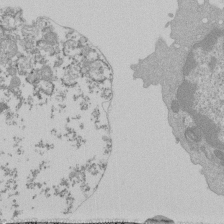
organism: Mouse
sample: Activated Pmel transgenic CD8+ T Cells